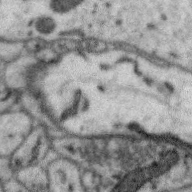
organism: Zebra finch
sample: Brain